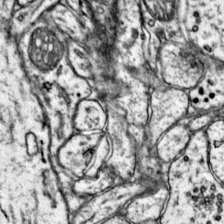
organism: Mouse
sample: Primary visual cortex